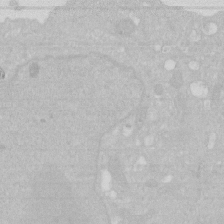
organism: Human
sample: HIV infected U937 cells